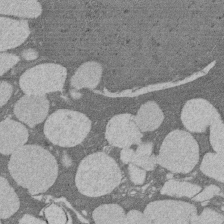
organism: Rat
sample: Salivary granule